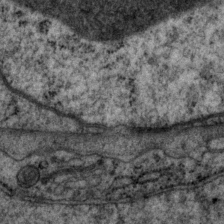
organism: P. pacificus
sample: Pharynx